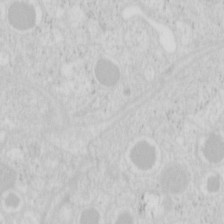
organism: Mouse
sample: Pancreas